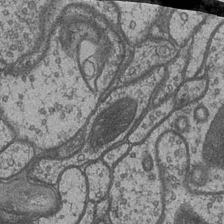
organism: Drosophila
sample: Optic medulla